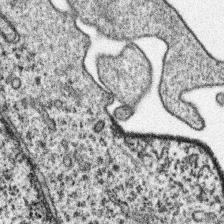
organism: Human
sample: HeLa cells